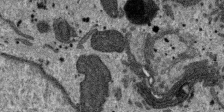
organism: Human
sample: Lung epithelial cells, uninfected (mock) control